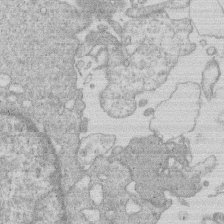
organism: Human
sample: Macrophage cells